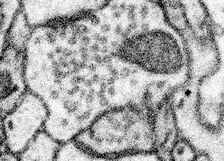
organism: Mouse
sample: Somatosensory cortex neuropil